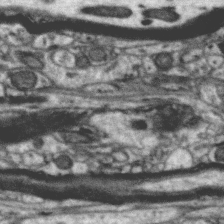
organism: Zebra finch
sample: Brain